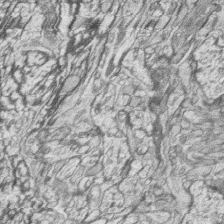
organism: Zebrafish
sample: synaptic ribbons in rod cells and cone cells